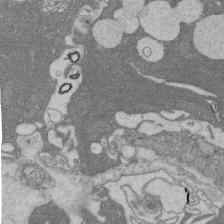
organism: Rat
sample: Salivary granule